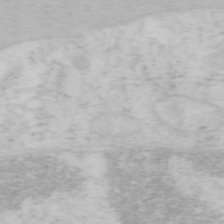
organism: Mouse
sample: OT-I killer T cells with ID8 ovarian cancer cells